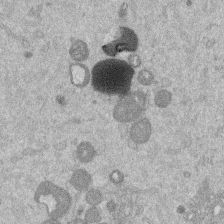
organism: Mouse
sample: Dividing mouse embryo 1 cell stage